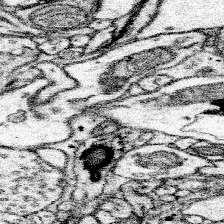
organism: Mouse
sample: Somatosensory cortex neuropil